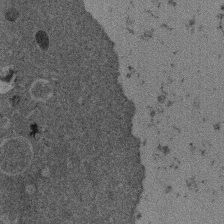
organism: Mouse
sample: Dividing mouse embryo 1 cell stage